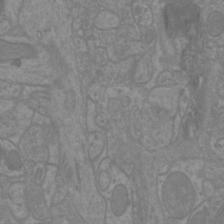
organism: Mouse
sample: Cortical neurons